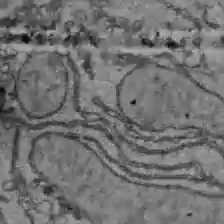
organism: C57BL Mouse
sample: Liver